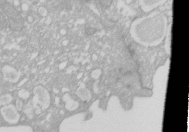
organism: Xenopus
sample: Cilia; centrioles in frog embryo cells